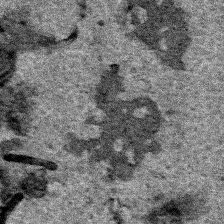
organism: Human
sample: Mitochondria in HCT116 cells